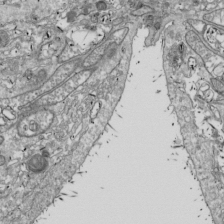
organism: Drosophila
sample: Cell division; meiosis; drosophila spermatocytes